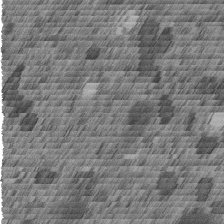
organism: C. elegans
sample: C. elegans embryo early stage